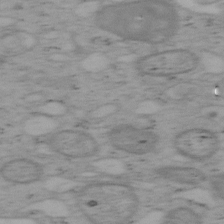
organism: Mouse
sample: OT-I killer T cells with ID8 ovarian cancer cells